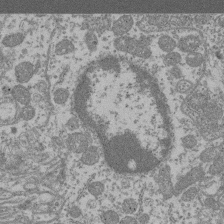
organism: Mouse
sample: Glomerulus